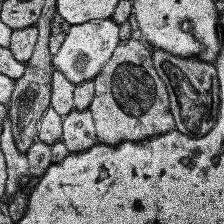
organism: Human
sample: Temporal Lobe